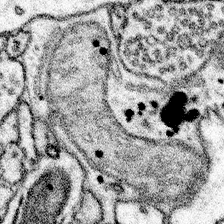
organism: Mouse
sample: Somatosensory cortex neuropil